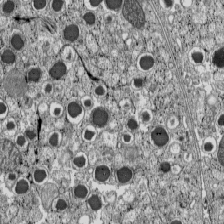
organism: C57BL Mouse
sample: Pancreatic islet